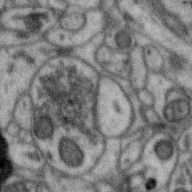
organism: Zebra finch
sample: Brain